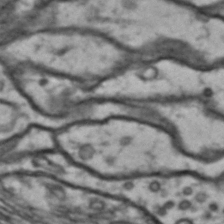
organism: Drosophila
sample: Brain